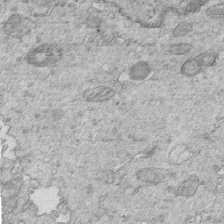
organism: Mouse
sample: Multiciliated cells